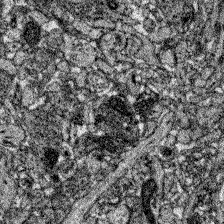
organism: Zebrafish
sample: Larval olfactory bulb